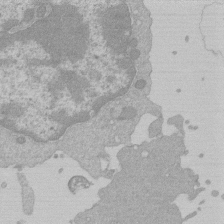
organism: Mouse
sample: Activated Pmel transgenic CD8+ T Cells